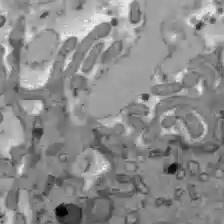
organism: C57BL Mouse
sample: Liver